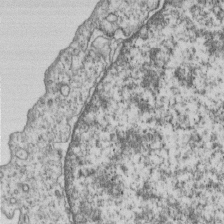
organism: Human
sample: MDA-MB-231 cells